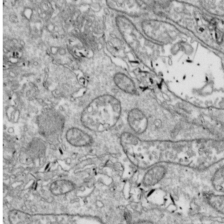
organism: Drosophila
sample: Cell division; meiosis; drosophila spermatocytes